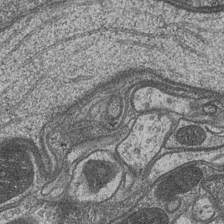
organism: Drosophila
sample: Optic medulla